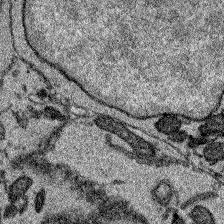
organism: Zebrafish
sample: Larval olfactory bulb